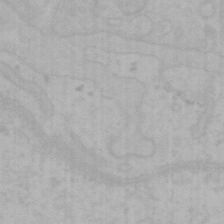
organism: Mouse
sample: Choroid plexus